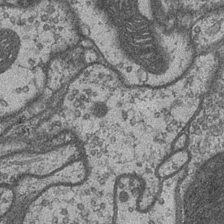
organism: Drosophila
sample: Optic medulla